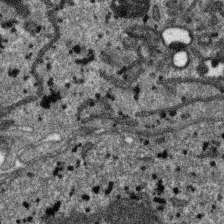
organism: Human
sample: Lung epithelial cells infected with SARS-CoV-2